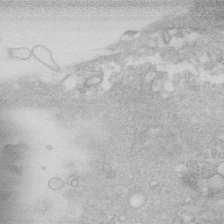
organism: Human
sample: Fibroblast cells